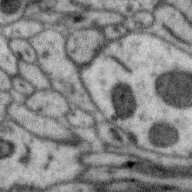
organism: Zebra finch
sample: Brain